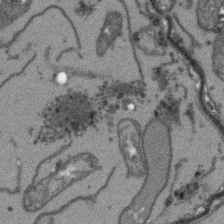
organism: Arabidopsis thaliana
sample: Root tip